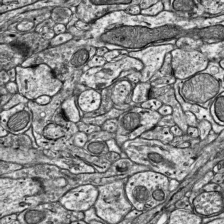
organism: Mouse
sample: Visual Cortex